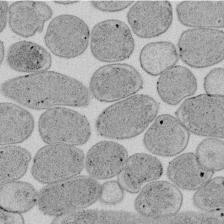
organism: E. coli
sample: Bacterial nucleoid